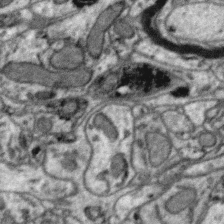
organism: Zebra finch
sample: Brain